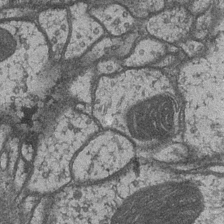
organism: Drosophila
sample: Optic medulla